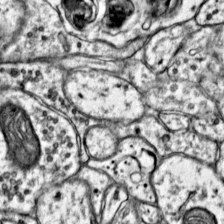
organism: Mouse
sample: Primary visual cortex